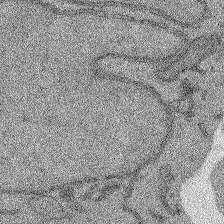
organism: Human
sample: HeLa cells